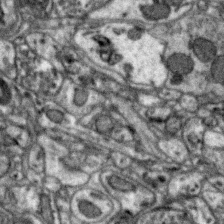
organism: Zebra finch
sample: Brain